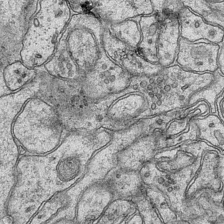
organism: Mouse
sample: CA1 Hippocampus